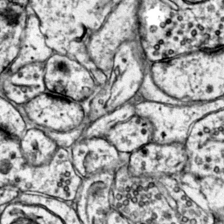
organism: Mouse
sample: Primary visual cortex